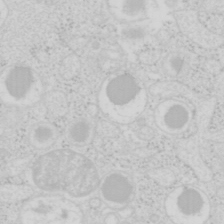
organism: Mouse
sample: Pancreas